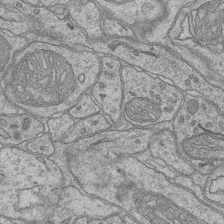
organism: Mouse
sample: CA1 Hippocampus